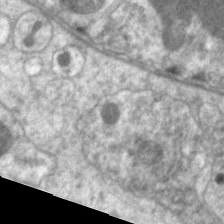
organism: C. elegans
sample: Pharynx